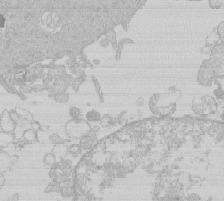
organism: Human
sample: Macrophage cells